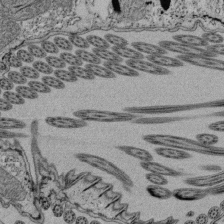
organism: Tetrahymena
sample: Cilia in tetrahymena